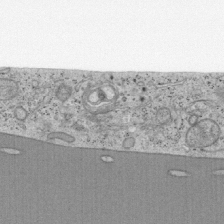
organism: Human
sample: HeLa cells